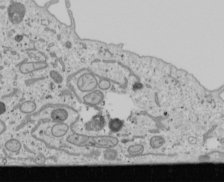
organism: Human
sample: Mitochondria in U2OS cells